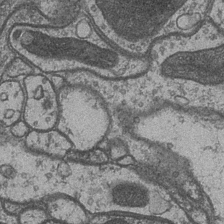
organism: Drosophila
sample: Optic medulla